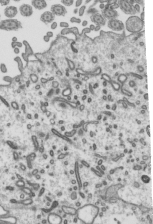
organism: Mouse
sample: Mouse epididymis efferent ductule cilia